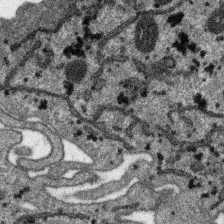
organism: Human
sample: Lung epithelial cells infected with SARS-CoV-2